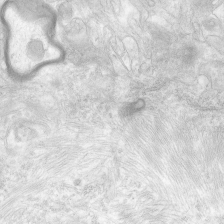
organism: Human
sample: Neocortex